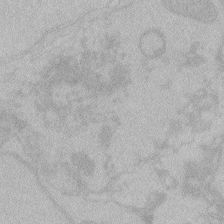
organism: Zebrafish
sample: Macrophage infected with Toxoplasma gondii